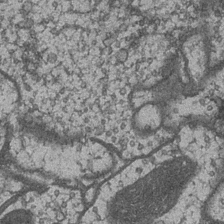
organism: Drosophila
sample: Optic medulla